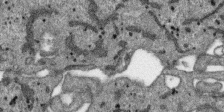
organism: Human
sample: Lung epithelial cells, uninfected (mock) control